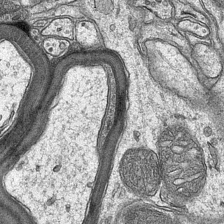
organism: Mouse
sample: CA1 Hippocampus